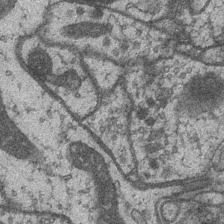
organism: Drosophila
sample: Optic medulla